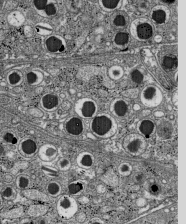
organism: C57BL Mouse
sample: Pancreatic islet